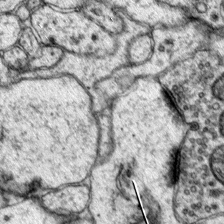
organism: Mouse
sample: Primary visual cortex